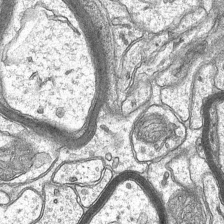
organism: Mouse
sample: CA1 Hippocampus